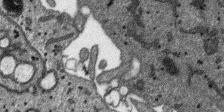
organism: Human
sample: Lung epithelial cells infected with SARS-CoV-2